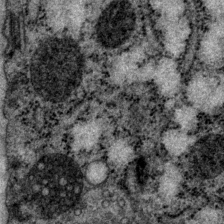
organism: P. pacificus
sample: Pharynx